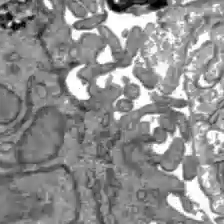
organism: C57BL Mouse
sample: Liver